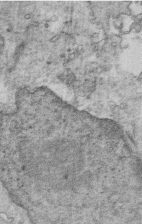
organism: Mouse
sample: Multiciliated cells